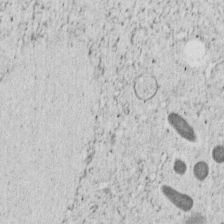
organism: C. elegans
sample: C. elegans embryo early stage